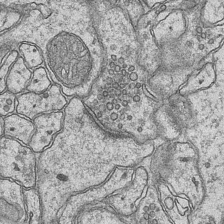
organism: Mouse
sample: CA1 Hippocampus